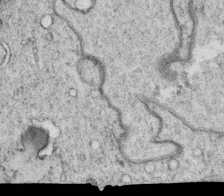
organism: C. elegans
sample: C. elegans oocyte; sperm cells